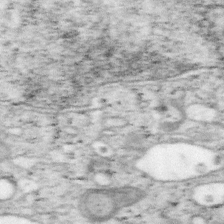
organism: Mouse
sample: OT-I killer T cells with ID8 ovarian cancer cells